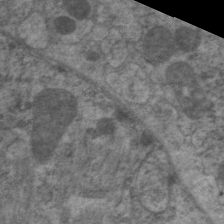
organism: C. elegans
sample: Pharynx